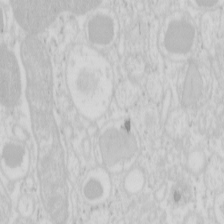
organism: Mouse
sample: Pancreas